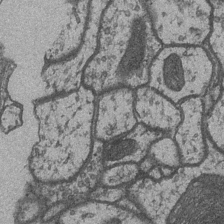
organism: Drosophila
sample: Optic medulla